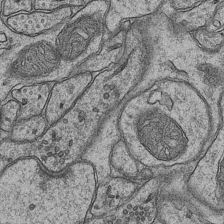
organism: Mouse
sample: CA1 Hippocampus